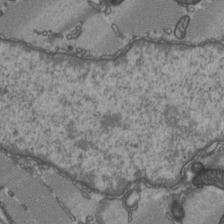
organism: C57BL Mouse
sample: Heart